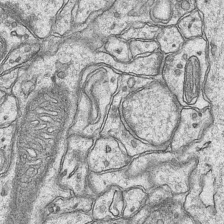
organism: Mouse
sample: CA1 Hippocampus